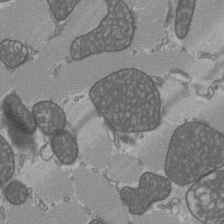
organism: C57BL Mouse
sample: Heart